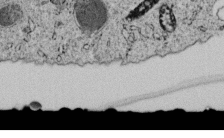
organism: C. elegans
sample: C. elegans embryo early stage